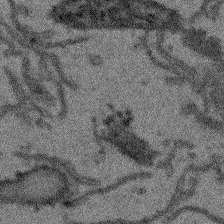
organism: Arabidopsis thaliana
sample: Root tip